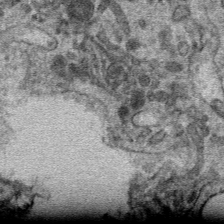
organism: Mouse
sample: Mouse hepatocytes